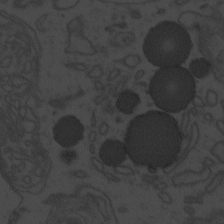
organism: Zebrafish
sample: Macrophage infected with Toxoplasma gondii